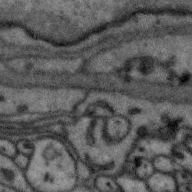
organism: Zebra finch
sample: Brain